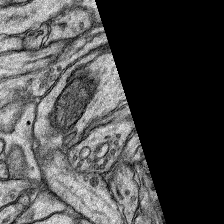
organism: Rat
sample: Hippocampus